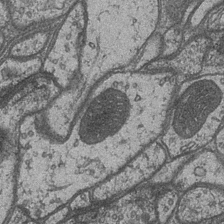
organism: Drosophila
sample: Optic medulla